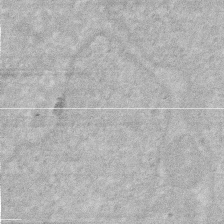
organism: Human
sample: HIV infected U937 cells